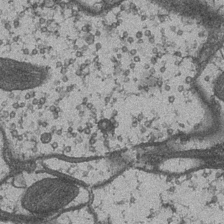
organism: Drosophila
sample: Optic medulla